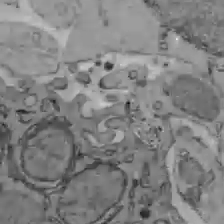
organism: C57BL Mouse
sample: Liver